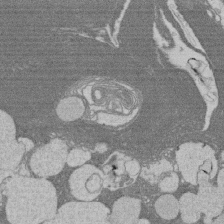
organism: Rat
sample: Salivary granule